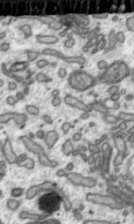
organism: Toxoplasma gondii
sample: Parasites in a vacuole inside a host cell